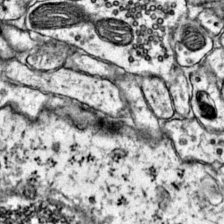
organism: Mouse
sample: Primary visual cortex